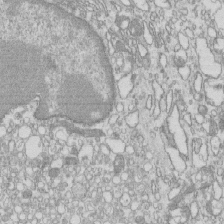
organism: Mouse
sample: Macrophages